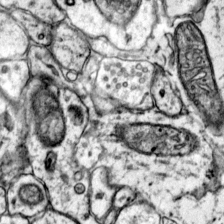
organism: Mouse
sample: Primary visual cortex